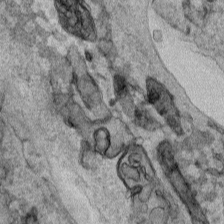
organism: Human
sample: Mitochondria in HCT116 cells